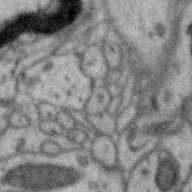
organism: Zebra finch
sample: Brain